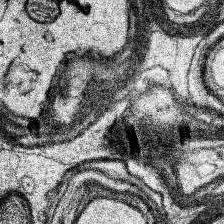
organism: Human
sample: Temporal Lobe